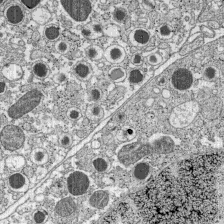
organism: C57BL Mouse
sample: Pancreatic islet